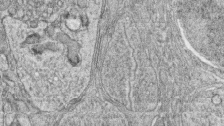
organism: Zebrafish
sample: synaptic ribbons in rod cells and cone cells